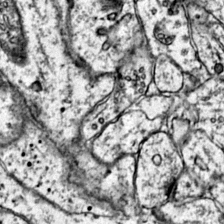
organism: Mouse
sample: Primary visual cortex